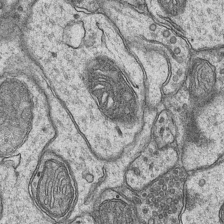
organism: Mouse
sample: CA1 Hippocampus